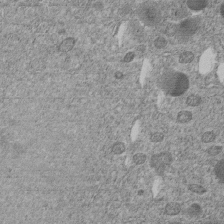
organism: C. elegans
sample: C. elegans embryo early stage